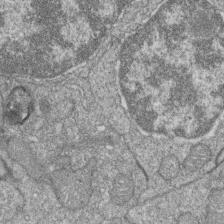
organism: Zebrafish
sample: Cilia; retinal pigment epithelium